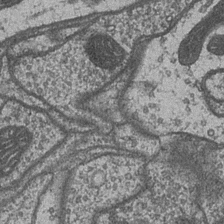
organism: Drosophila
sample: Optic medulla